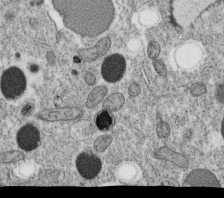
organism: C. elegans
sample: C. elegans oocyte; sperm cells